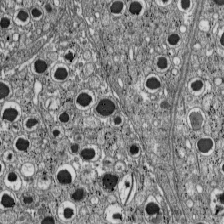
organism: C57BL Mouse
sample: Pancreatic islet